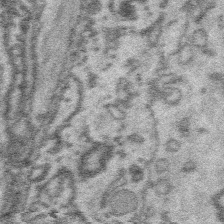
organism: Platynereis dumerilii